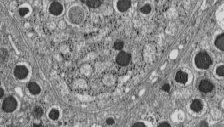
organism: C57BL Mouse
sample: Pancreatic islet